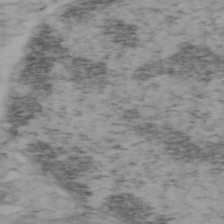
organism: Mouse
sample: OT-I killer T cells with ID8 ovarian cancer cells